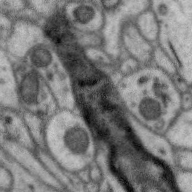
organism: Zebra finch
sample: Brain